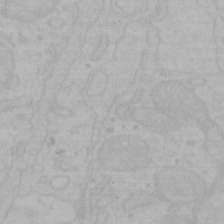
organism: Mouse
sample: Choroid plexus